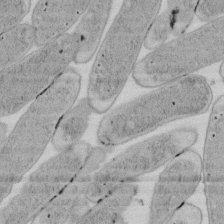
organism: E. coli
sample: Bacterial nucleoid